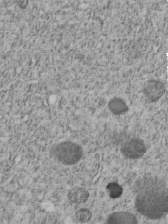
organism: C. elegans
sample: C. elegans embryo early stage